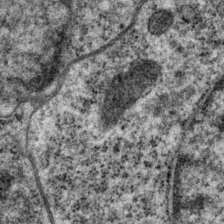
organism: P. pacificus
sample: Pharynx